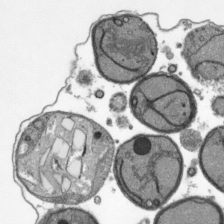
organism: Plasmodium falciparum